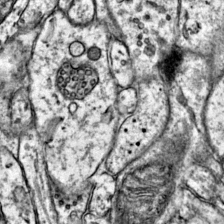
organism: Mouse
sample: Primary visual cortex